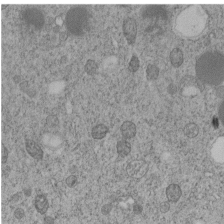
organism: C. elegans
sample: C. elegans embryo early stage